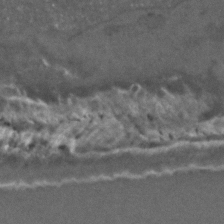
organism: C. elegans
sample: C. elegans embryo